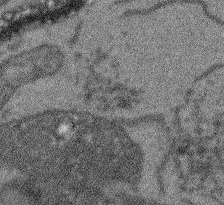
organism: Arabidopsis thaliana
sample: Root tip